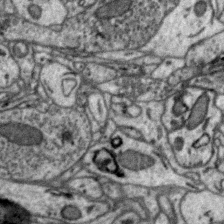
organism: Zebra finch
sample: Brain